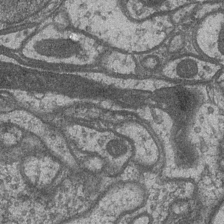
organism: Drosophila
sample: Optic medulla